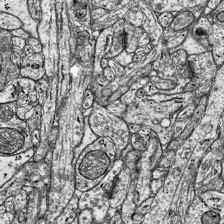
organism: Mouse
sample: Visual Cortex